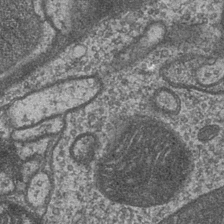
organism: Drosophila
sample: Optic medulla